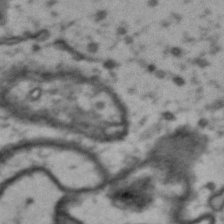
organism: Drosophila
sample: Brain